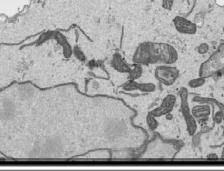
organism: Human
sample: Mitochondria in HCT116 cells